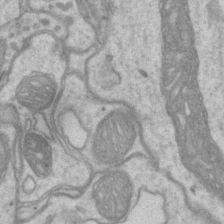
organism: Mouse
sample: CA1 Hippocampus